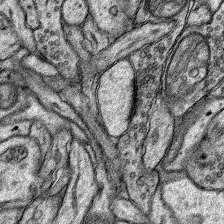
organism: Rat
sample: Hippocampus